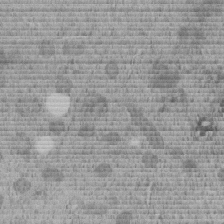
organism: C. elegans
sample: C. elegans embryo early stage